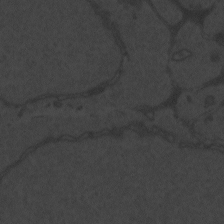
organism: Zebrafish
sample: Macrophage infected with Toxoplasma gondii